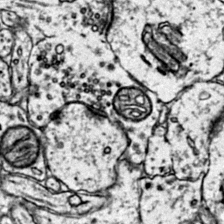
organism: Mouse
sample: Primary visual cortex